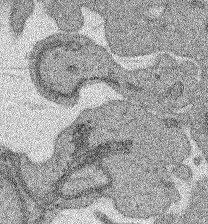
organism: Human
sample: HeLa cells